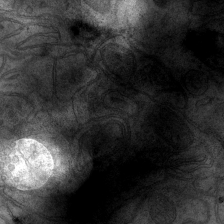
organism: Mouse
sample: CA1 Hippocampus